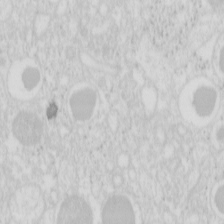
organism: Mouse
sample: Pancreas